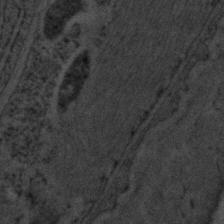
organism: C. elegans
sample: C. elegans embryo